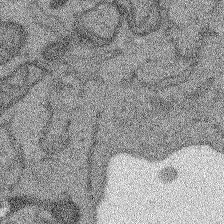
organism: Human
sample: HeLa cells